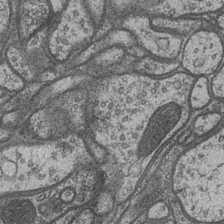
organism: Drosophila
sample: Optic medulla